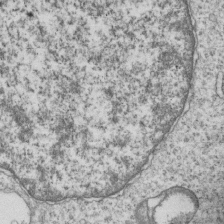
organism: Human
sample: MDA-MB-231 cells